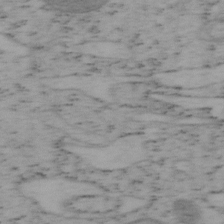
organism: Mouse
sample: OT-I killer T cells with ID8 ovarian cancer cells